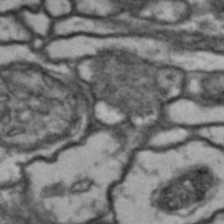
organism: Drosophila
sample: Brain